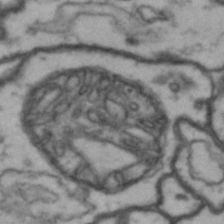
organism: Drosophila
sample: Brain